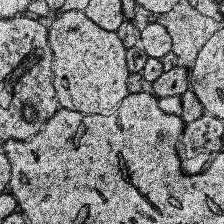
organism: Human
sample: Temporal Lobe